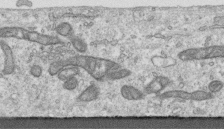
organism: Human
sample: Centriole in RPE cells